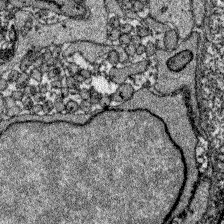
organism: Zebrafish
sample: Larval olfactory bulb